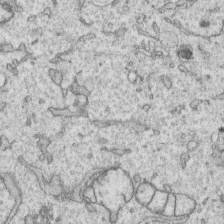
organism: Human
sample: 1205lu cells